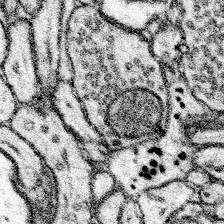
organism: Mouse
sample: Somatosensory cortex neuropil